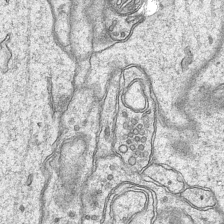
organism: Mouse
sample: CA1 Hippocampus